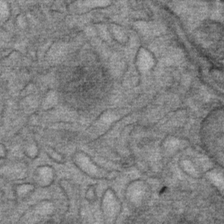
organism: Mouse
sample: Mouse Salivary gland